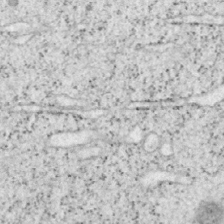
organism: Mouse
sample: OT-I killer T cells with ID8 ovarian cancer cells